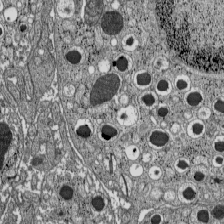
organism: C57BL Mouse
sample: Pancreatic islet